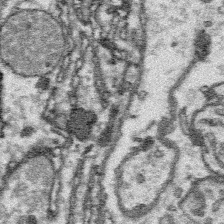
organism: Platynereis dumerilii